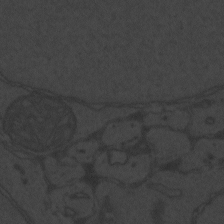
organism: Zebrafish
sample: Macrophage infected with Toxoplasma gondii